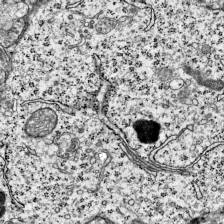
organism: Mouse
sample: Visual Cortex